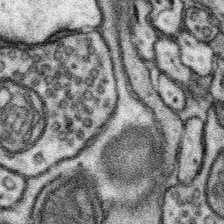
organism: Mouse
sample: Somatosensory cortex neuropil